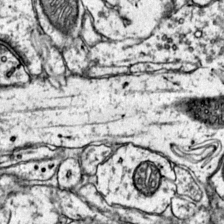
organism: Mouse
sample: Primary visual cortex